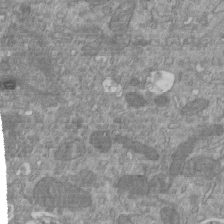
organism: Mouse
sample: ED-1 cell nuclei; centrioles